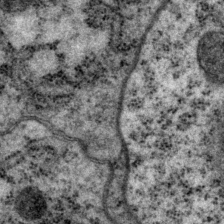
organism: P. pacificus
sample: Pharynx